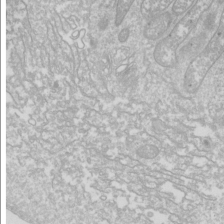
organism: Drosophila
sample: Cell division; meiosis; drosophila spermatocytes